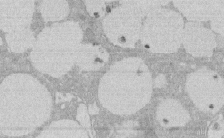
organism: Rat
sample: Salivary granule